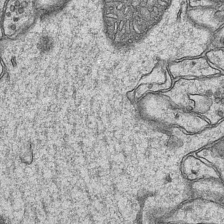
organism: Mouse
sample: CA1 Hippocampus